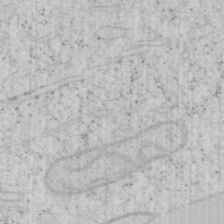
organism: Human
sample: HeLa cells